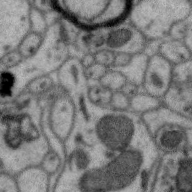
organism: Zebra finch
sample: Brain